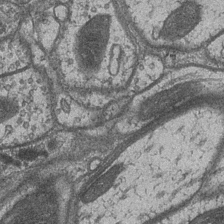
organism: Drosophila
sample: Optic medulla